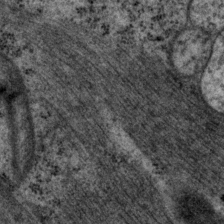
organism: P. pacificus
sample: Pharynx